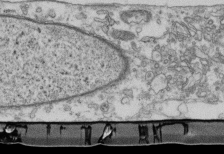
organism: Mouse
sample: Cilia; retinal pigment epithelium